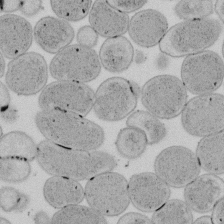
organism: E. coli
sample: Bacterial nucleoid